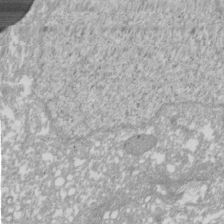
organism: Xenopus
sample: Cilia; centrioles in frog embryo cells